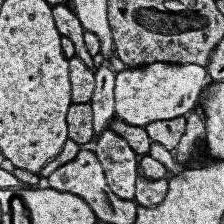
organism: Human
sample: Temporal Lobe